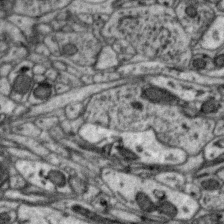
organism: Zebra finch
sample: Brain